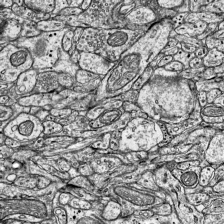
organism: Mouse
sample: Visual Cortex